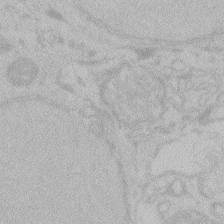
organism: Zebrafish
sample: Macrophage infected with Toxoplasma gondii